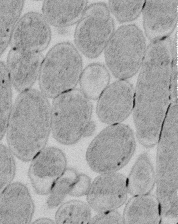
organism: E. coli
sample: Bacterial nucleoid